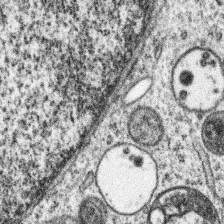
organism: Human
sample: HeLa cells